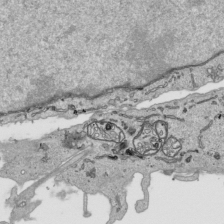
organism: Human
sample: Mitochondria in HCT116 cells